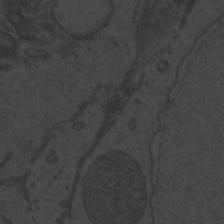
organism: Zebrafish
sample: Macrophage infected with Toxoplasma gondii